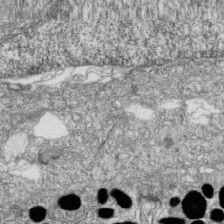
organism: Zebrafish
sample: Cilia; retinal pigment epithelium